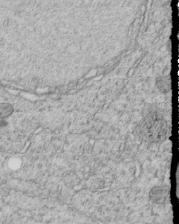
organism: C. elegans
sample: C. elegans embryo early stage